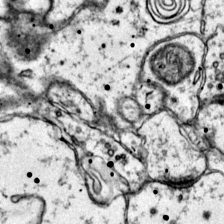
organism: Mouse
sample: Primary visual cortex